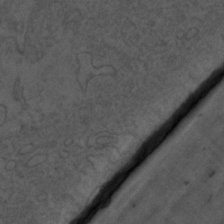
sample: Trachea